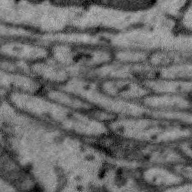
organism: Zebra finch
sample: Brain